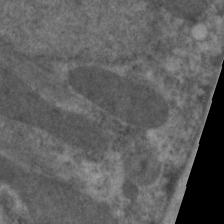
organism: C. elegans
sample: Pharynx